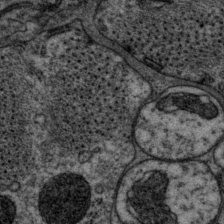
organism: P. pacificus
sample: Pharynx